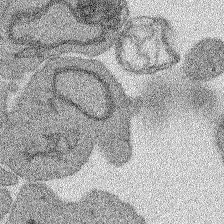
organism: Human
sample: HeLa cells